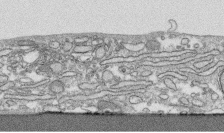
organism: Human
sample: CRL-1474